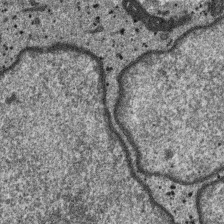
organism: Human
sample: Lung epithelial cells infected with SARS-CoV-2